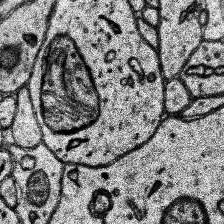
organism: Human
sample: Temporal Lobe